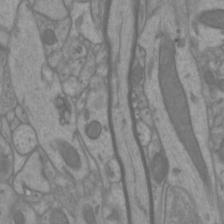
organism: Mouse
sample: Cortical neurons